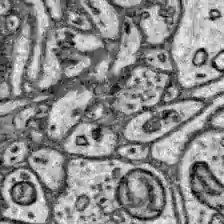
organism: Zebrafish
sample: Brain